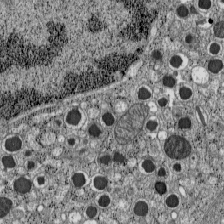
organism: C57BL Mouse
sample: Pancreatic islet